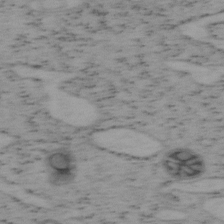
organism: Mouse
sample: OT-I killer T cells with ID8 ovarian cancer cells